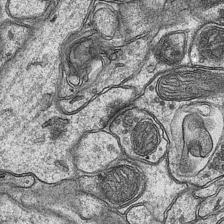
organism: Mouse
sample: CA1 Hippocampus